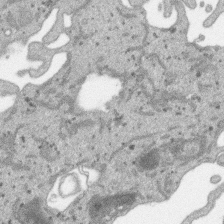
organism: Human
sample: Lung epithelial cells infected with SARS-CoV-2